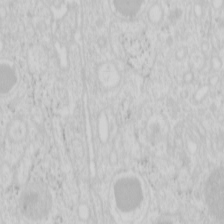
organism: Mouse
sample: Pancreas